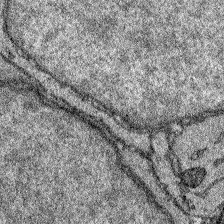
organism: Zebrafish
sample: Larval olfactory bulb